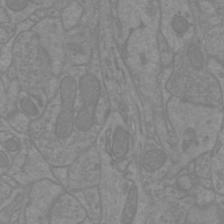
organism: Mouse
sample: Cortical neurons